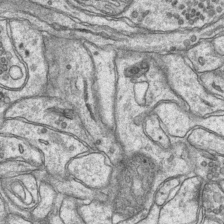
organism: Mouse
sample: CA1 Hippocampus